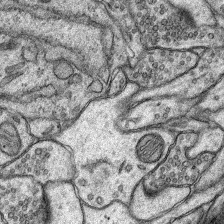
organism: Rat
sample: Hippocampus